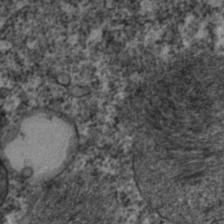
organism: C. elegans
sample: C. elegans embryo